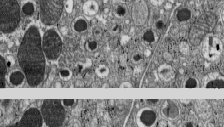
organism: C57BL Mouse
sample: Pancreatic islet